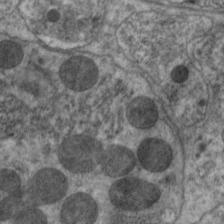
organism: C. elegans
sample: Pharynx